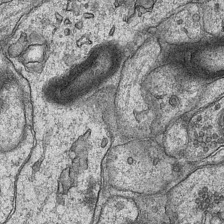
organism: Mouse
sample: CA1 Hippocampus